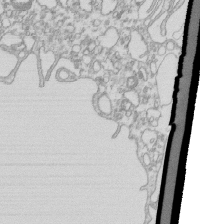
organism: Mouse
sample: Macrophages